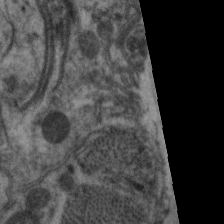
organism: C. elegans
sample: Pharynx